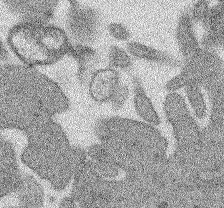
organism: Human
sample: HeLa cells